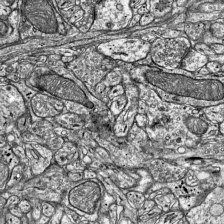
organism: Mouse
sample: Visual Cortex